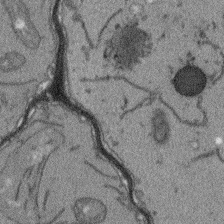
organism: Arabidopsis thaliana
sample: Root tip